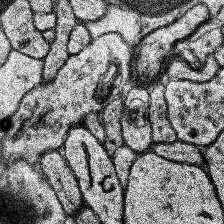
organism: Human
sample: Temporal Lobe